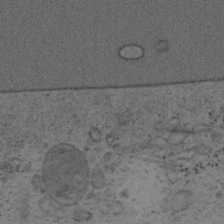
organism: Human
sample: HeLa cells